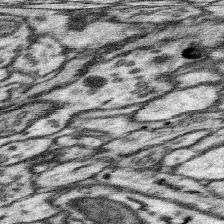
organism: Mouse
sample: Somatosensory cortex neuropil